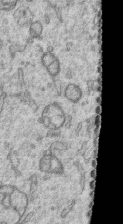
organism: Human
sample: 1205lu cells